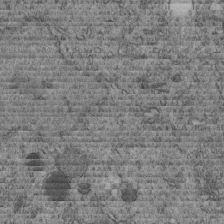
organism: C. elegans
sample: C. elegans embryo early stage